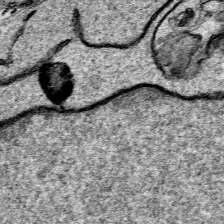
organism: Human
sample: Mitochondria in HCT116 cells